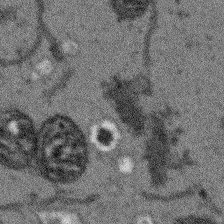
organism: Arabidopsis thaliana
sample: Root tip